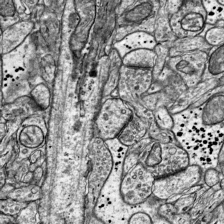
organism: Mouse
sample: Visual Cortex